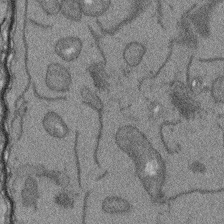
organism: Arabidopsis thaliana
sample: Root tip